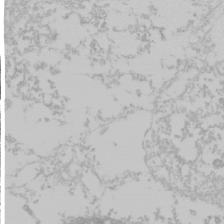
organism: Mouse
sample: Cancer cell death in ED-1 cells